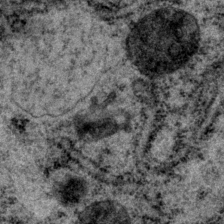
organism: P. pacificus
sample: Pharynx